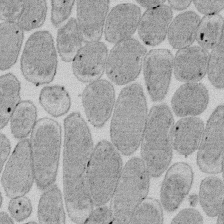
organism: E. coli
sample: Bacterial nucleoid